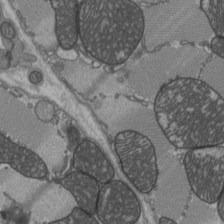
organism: C57BL Mouse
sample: Heart